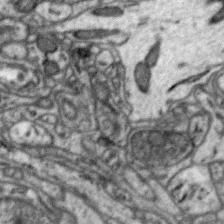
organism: Zebra finch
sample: Brain